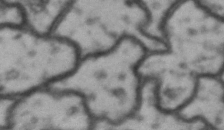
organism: Drosophila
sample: Brain